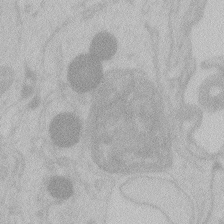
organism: Zebrafish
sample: Macrophage infected with Toxoplasma gondii